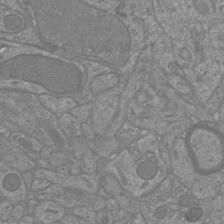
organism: Mouse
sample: Cortical neurons